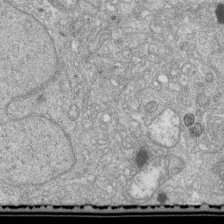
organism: Human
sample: HeLa cell HIV synapse